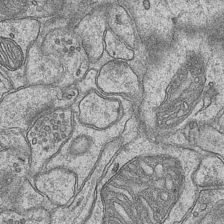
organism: Mouse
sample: CA1 Hippocampus